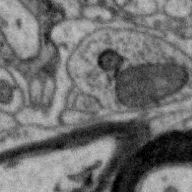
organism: Zebra finch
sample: Brain